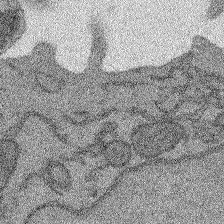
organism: Human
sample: HeLa cells